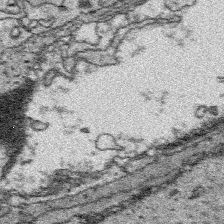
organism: Platynereis dumerilii